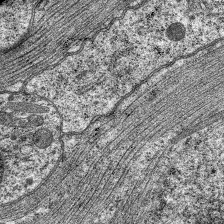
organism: C. elegans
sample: Pharynx